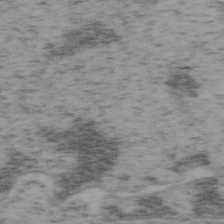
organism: Mouse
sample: OT-I killer T cells with ID8 ovarian cancer cells